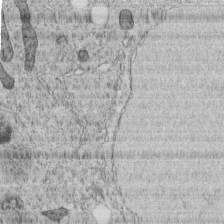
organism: C. elegans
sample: C. elegans embryo early stage